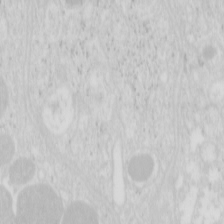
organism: Mouse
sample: Pancreas